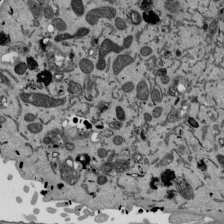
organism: Mouse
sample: ED-1 cell nuclei; centrioles